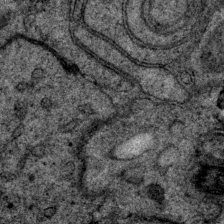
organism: P. pacificus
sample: Pharynx